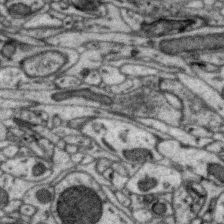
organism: Zebra finch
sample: Brain